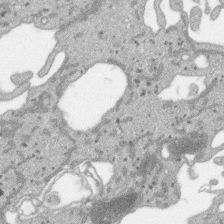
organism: Human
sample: Lung epithelial cells infected with SARS-CoV-2